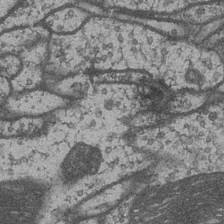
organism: Drosophila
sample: Optic medulla